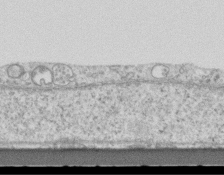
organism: Mouse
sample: Centriole in ependymal cells